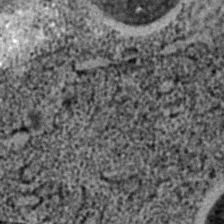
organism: C. elegans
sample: C. elegans embryo